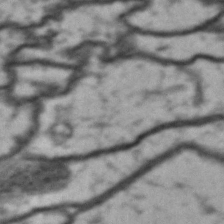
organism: Drosophila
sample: Brain